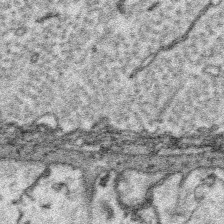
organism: Platynereis dumerilii